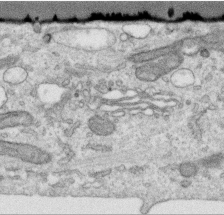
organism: Human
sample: Centriole in RPE cells